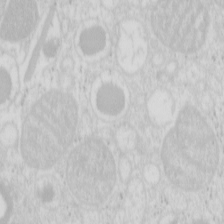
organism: Mouse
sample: Pancreas